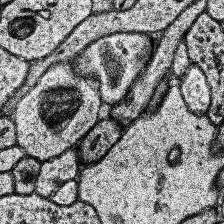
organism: Human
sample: Temporal Lobe